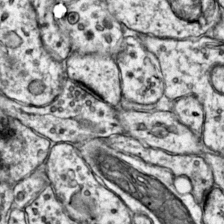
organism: Mouse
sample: Primary visual cortex